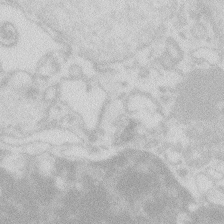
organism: Zebrafish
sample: Macrophage